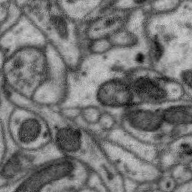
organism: Zebra finch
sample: Brain